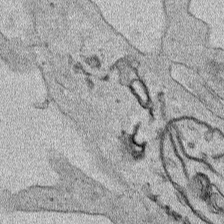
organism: Human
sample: Mitochondria in HCT116 cells